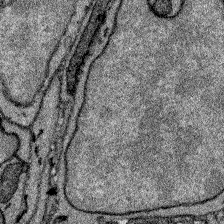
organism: Zebrafish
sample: Larval olfactory bulb